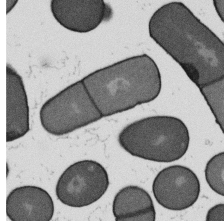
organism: B. subtilis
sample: Bacterial spore